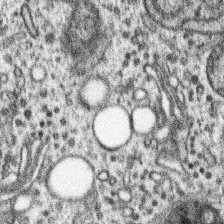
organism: Human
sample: HeLa cells